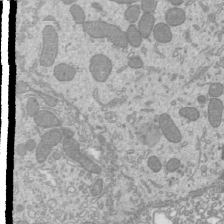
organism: Mouse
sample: Cilia; mouse epididymis